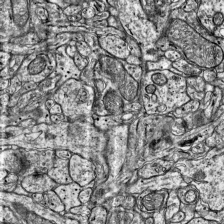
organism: Mouse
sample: Visual Cortex